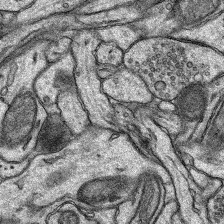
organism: Rat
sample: Hippocampus